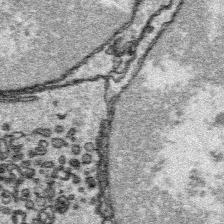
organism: Platynereis dumerilii